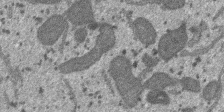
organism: Human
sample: Lung epithelial cells infected with SARS-CoV-2